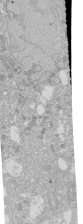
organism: Human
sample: Caco-2 cells